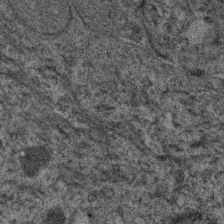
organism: Human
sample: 1205lu cells